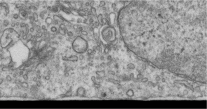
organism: Human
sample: Centriole in RPE cells